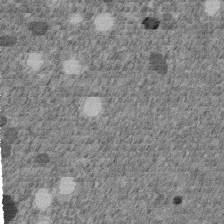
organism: C. elegans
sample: C. elegans embryo early stage